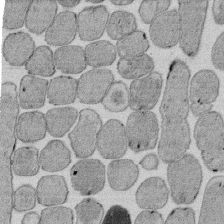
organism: E. coli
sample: Bacterial nucleoid